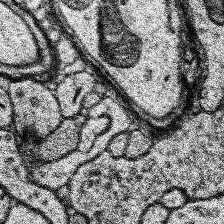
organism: Human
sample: Temporal Lobe